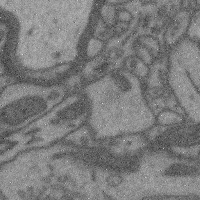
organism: Mouse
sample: Cerebral cortex